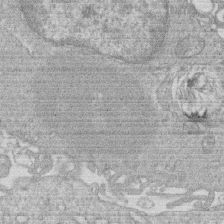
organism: Human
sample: Macrophage cells